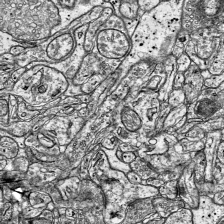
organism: Mouse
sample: Visual Cortex